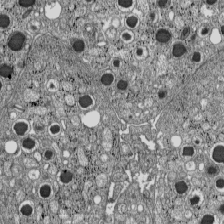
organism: C57BL Mouse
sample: Pancreatic islet